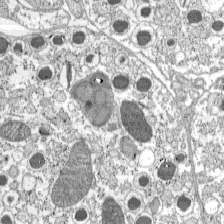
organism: C57BL Mouse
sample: Pancreatic islet